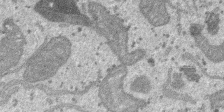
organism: Human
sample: Lung epithelial cells infected with SARS-CoV-2